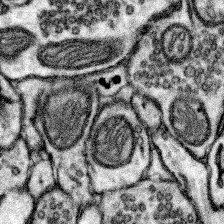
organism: Mouse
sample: Somatosensory cortex neuropil